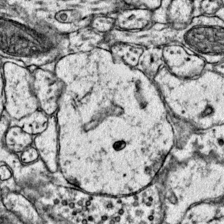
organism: Mouse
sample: Primary visual cortex